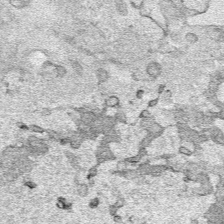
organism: Human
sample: Mitochondria in HCT116 cells